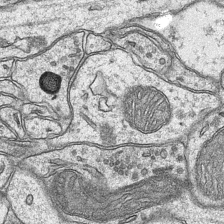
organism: Mouse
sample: CA1 Hippocampus